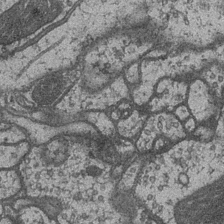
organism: Drosophila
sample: Optic medulla